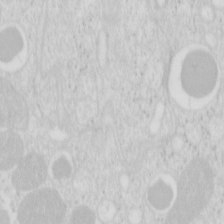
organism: Mouse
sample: Pancreas